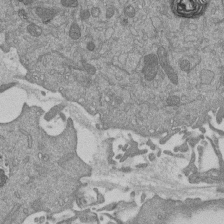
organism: Mouse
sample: ED-1 cell nuclei; centrioles